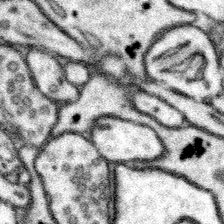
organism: Mouse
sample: Somatosensory cortex neuropil